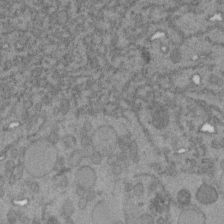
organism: C. elegans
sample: C. elegans embryo early stage